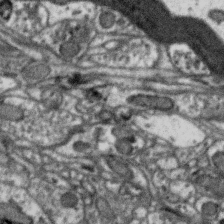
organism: Zebra finch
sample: Brain